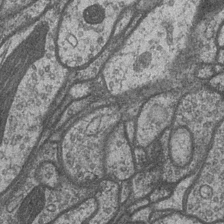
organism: Drosophila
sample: Optic medulla